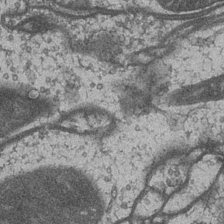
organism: Drosophila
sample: Optic medulla